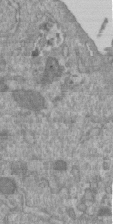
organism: Mouse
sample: ED-1 cell nuclei; centrioles